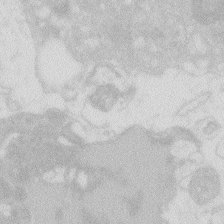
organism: Zebrafish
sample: Macrophage